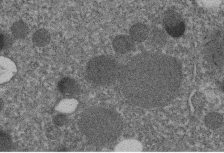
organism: C. elegans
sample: C. elegans embryo early stage